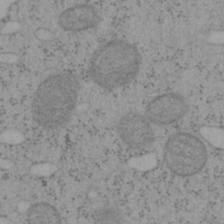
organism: Mouse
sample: OT-I killer T cells with ID8 ovarian cancer cells